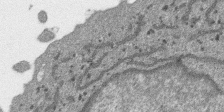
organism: Human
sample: Lung epithelial cells infected with SARS-CoV-2